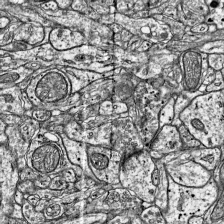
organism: Mouse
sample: Visual Cortex